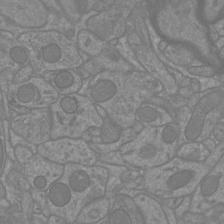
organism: Mouse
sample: Cortical neurons